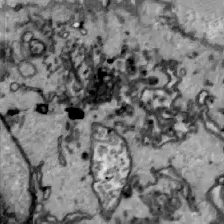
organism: Zebrafish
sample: Actinotrichia fibers